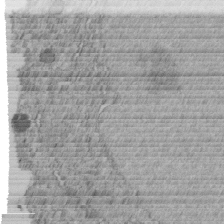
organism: C. elegans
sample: C. elegans embryo early stage